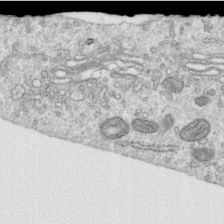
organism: Human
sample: Centriole in RPE cells